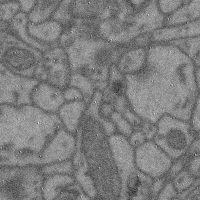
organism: Mouse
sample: Cerebral cortex